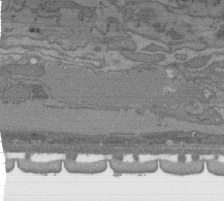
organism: C. elegans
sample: AFD neurons C. elegans